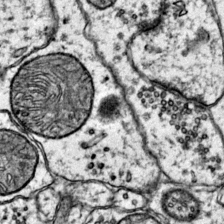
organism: Mouse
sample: Primary visual cortex